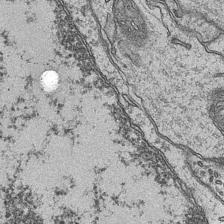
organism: Mouse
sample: CA1 Hippocampus